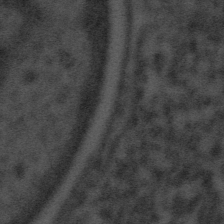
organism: Tuwongella immobilis